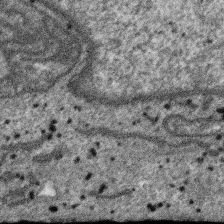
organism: Human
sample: Lung epithelial cells infected with SARS-CoV-2